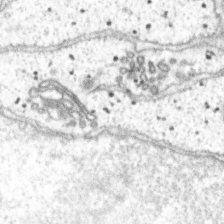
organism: Human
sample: HeLa cells